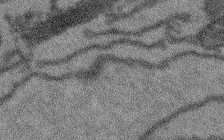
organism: Arabidopsis thaliana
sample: Root tip